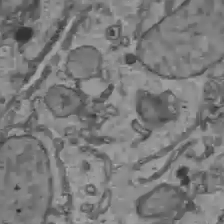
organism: C57BL Mouse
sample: Liver